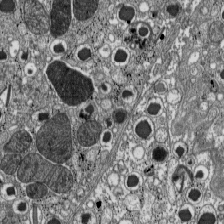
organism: C57BL Mouse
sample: Pancreatic islet